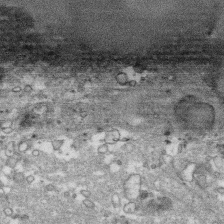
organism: Human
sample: CRL-1474